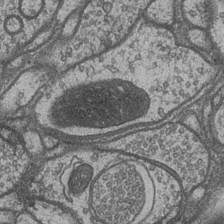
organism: Drosophila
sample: Optic medulla